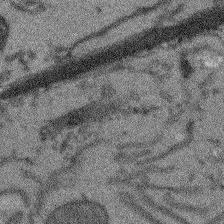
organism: Arabidopsis thaliana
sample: Root tip